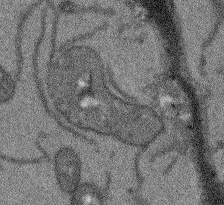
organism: Arabidopsis thaliana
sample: Root tip